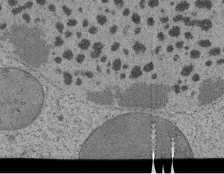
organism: Tetrahymena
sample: Cilia in tetrahymena